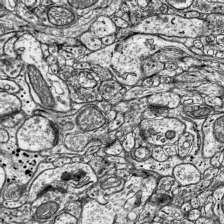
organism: Mouse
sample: Visual Cortex